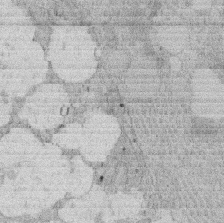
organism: Rat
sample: Salivary granule